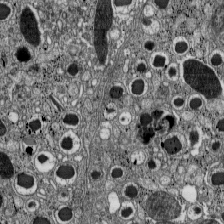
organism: C57BL Mouse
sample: Pancreatic islet